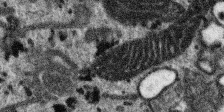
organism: Human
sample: Lung epithelial cells infected with SARS-CoV-2